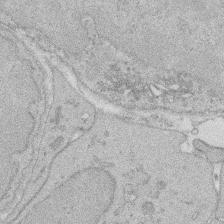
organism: Rat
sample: Salivary granule